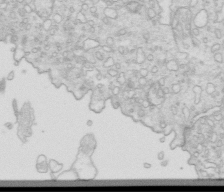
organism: Mouse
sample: Multiciliated cells